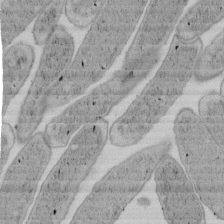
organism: E. coli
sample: Bacterial nucleoid